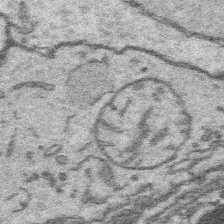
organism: Platynereis dumerilii